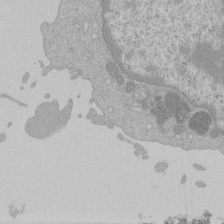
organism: Mouse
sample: Activated Pmel transgenic CD8+ T Cells